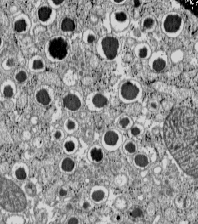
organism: C57BL Mouse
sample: Pancreatic islet